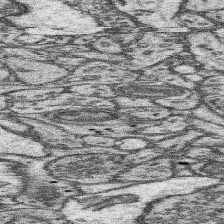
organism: Mouse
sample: Somatosensory cortex neuropil